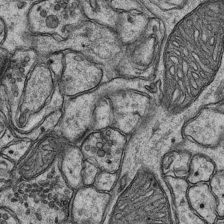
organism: Mouse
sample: CA1 Hippocampus